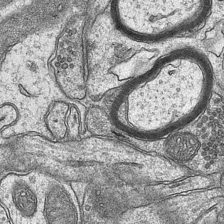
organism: Mouse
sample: CA1 Hippocampus